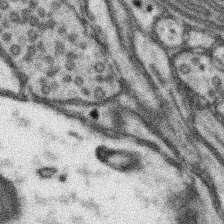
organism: Mouse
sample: Somatosensory cortex neuropil